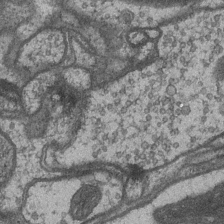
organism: Drosophila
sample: Optic medulla